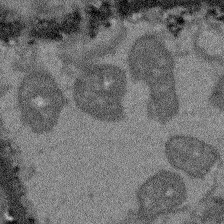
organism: Arabidopsis thaliana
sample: Root tip